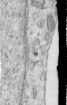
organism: Human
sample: Centriole in RPE cells